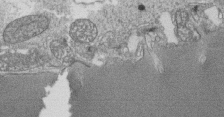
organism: Tetrahymena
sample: Cilia in tetrahymena